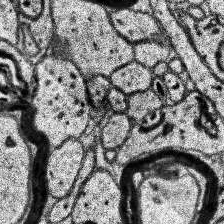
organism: Human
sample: Temporal Lobe